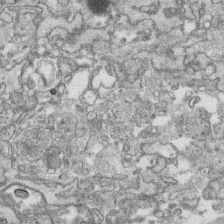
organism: Human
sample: CRL-1474